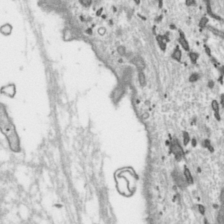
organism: Toxoplasma gondii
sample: Parasites in a vacuole inside a host cell